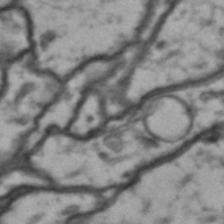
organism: Drosophila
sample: Brain